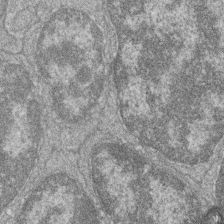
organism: Zebrafish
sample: Cilia; retinal pigment epithelium